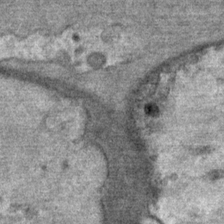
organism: Mouse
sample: Mouse Salivary gland